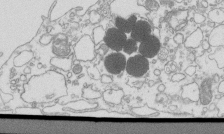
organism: Mouse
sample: Macrophages